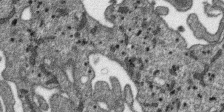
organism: Human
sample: Lung epithelial cells infected with SARS-CoV-2